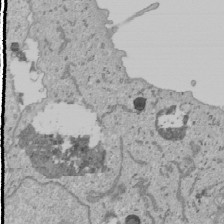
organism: Human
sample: Mitochondria in U2OS cells